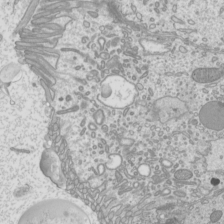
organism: Mouse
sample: Cilia; mouse epididymis